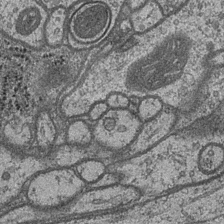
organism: Drosophila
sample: Optic medulla